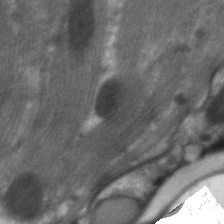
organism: C. elegans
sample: Pharynx